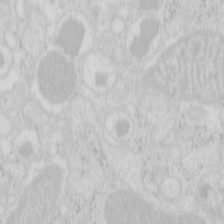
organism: Mouse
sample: Pancreas